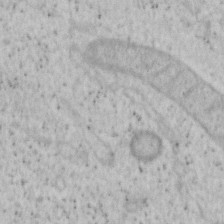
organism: Human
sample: HeLa cells